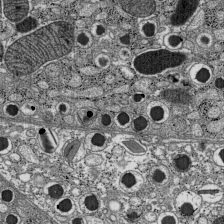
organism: C57BL Mouse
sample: Pancreatic islet